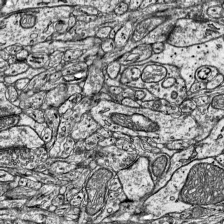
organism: Mouse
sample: Visual Cortex